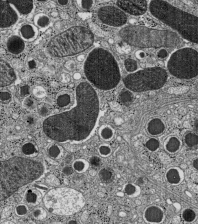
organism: C57BL Mouse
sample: Pancreatic islet